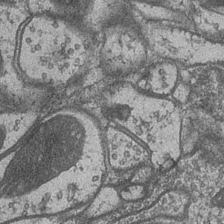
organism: Drosophila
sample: Optic medulla